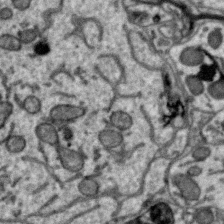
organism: Zebra finch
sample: Brain